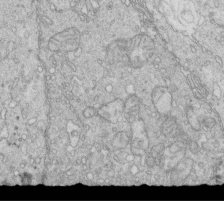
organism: Mouse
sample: Multiciliated cells